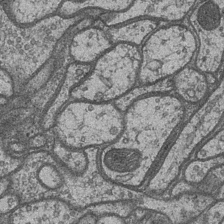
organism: Drosophila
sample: Optic medulla